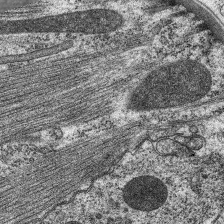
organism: C. elegans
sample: Pharynx